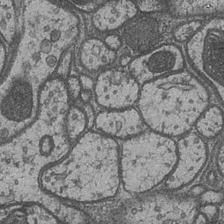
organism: Drosophila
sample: Optic medulla